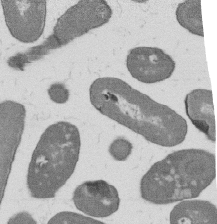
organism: B. subtilis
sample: Bacterial spore